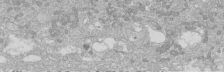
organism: Human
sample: Caco-2 cells